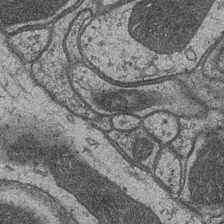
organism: Drosophila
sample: Optic medulla